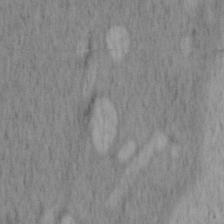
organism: Mouse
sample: OT-I killer T cells with ID8 ovarian cancer cells